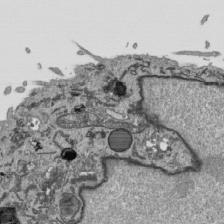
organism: Human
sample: Mitochondria in HCT116 cells